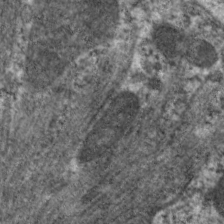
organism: C. elegans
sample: Pharynx